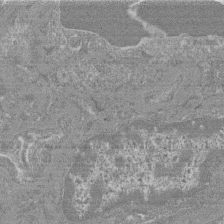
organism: Mouse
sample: Glomerulus